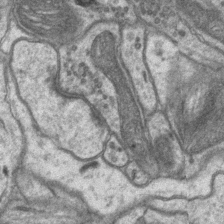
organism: Mouse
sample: CA1 Hippocampus